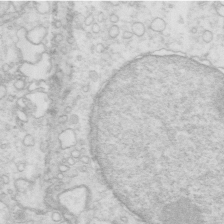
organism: Mouse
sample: Multiciliated cells